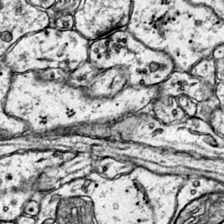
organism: Mouse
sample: Primary visual cortex